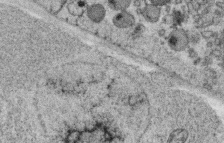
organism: C. elegans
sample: C. elegans oocyte; sperm cells